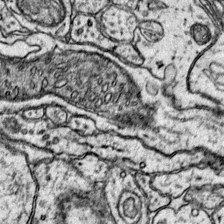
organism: Mouse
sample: Primary visual cortex